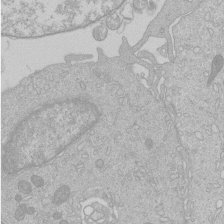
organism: Human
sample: Macrophage cells